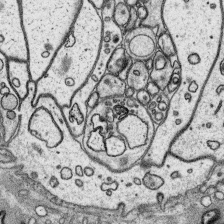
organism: Platynereis dumerilii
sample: Parapodia